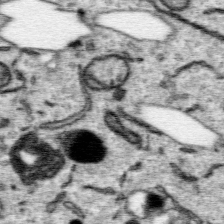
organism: Human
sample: HeLa cells